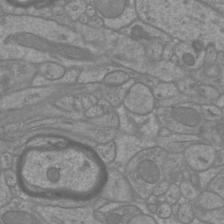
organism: Mouse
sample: Cortical neurons